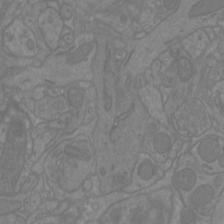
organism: Mouse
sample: Cortical neurons